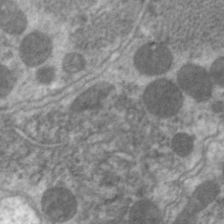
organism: C. elegans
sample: Pharynx